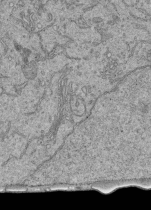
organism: Human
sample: Retinal organoid Rod and Cone cells